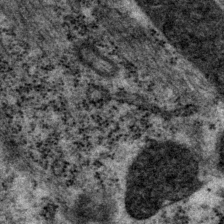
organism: P. pacificus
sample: Pharynx